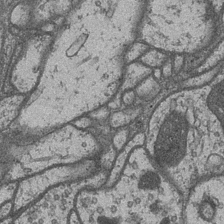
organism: Drosophila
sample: Optic medulla